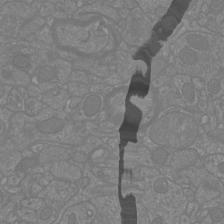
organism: Mouse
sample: Cortical neurons